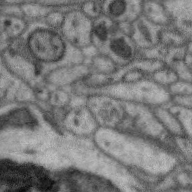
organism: Zebra finch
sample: Brain